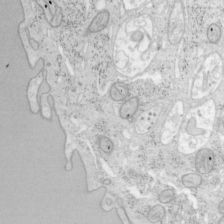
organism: Mouse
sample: OT-I killer T cells with ID8 ovarian cancer cells